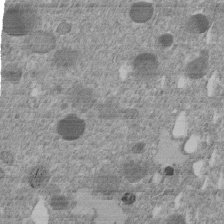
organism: C. elegans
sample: C. elegans embryo early stage